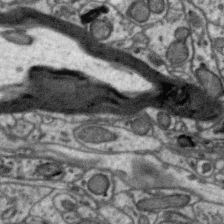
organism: Zebra finch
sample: Brain